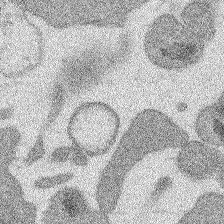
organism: Human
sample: HeLa cells